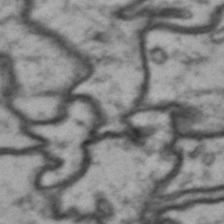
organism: Drosophila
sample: Brain